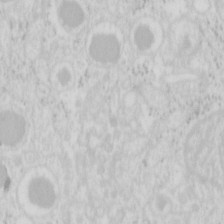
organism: Mouse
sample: Pancreas